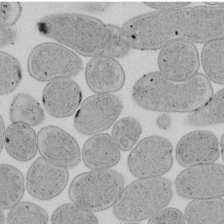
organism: E. coli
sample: Bacterial nucleoid